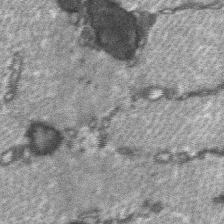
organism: C57BL Mouse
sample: Soleus